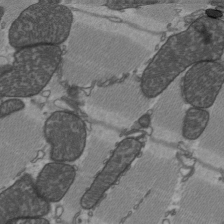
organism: C57BL Mouse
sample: Heart